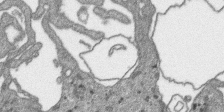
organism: Human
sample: Lung epithelial cells infected with SARS-CoV-2